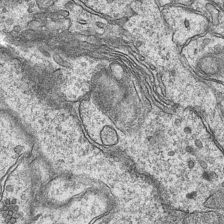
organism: Mouse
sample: CA1 Hippocampus